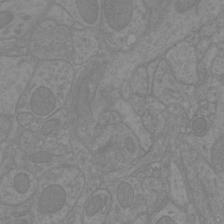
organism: Mouse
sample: Cortical neurons